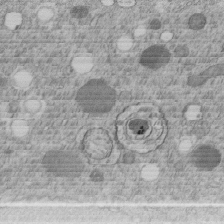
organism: C. elegans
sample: C. elegans embryo early stage